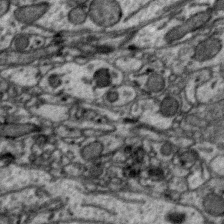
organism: Zebra finch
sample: Brain